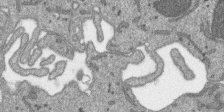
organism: Human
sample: Lung epithelial cells infected with SARS-CoV-2